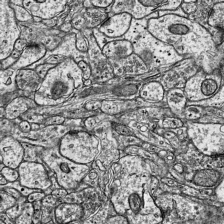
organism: Mouse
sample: Visual Cortex